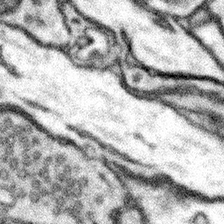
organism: Mouse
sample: Somatosensory cortex neuropil